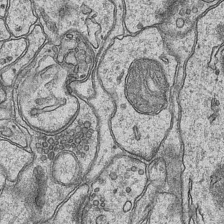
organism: Mouse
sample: CA1 Hippocampus